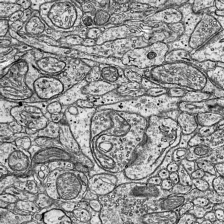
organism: Mouse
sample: Visual Cortex